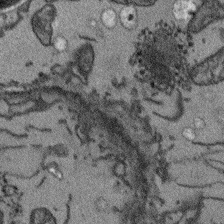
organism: Arabidopsis thaliana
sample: Root tip